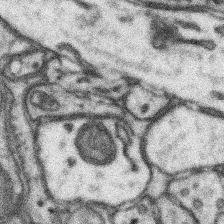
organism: Mouse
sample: Somatosensory cortex neuropil